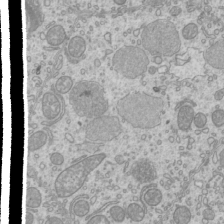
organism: Mouse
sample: Cilia; mouse epididymis